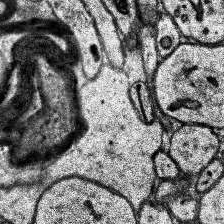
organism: Human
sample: Temporal Lobe